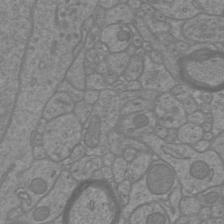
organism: Mouse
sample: Cortical neurons